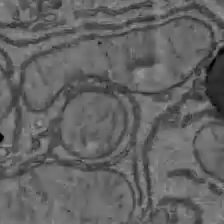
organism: C57BL Mouse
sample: Liver